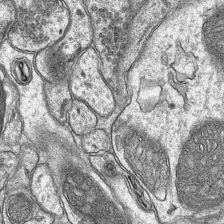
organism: Mouse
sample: CA1 Hippocampus